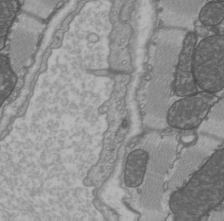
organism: C57BL Mouse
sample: Heart